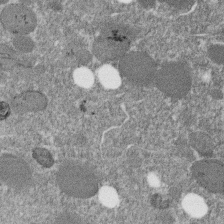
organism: C. elegans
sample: C. elegans embryo early stage